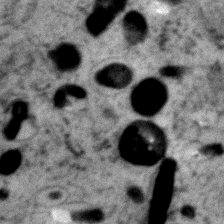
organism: Zebrafish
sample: Zebrafish embryo